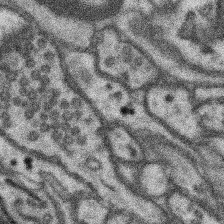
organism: Mouse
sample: Somatosensory cortex neuropil